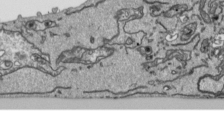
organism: Human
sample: Mitochondria in HCT116 cells